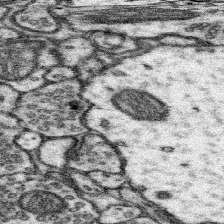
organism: Mouse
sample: Somatosensory cortex neuropil